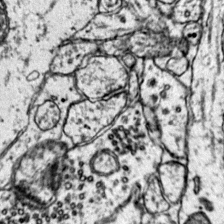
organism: Mouse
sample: Primary visual cortex